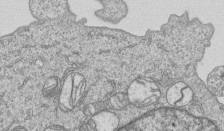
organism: Human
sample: MDA-MB-231 cells